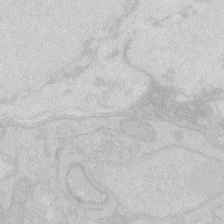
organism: Zebrafish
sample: Macrophage